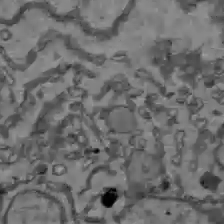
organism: C57BL Mouse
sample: Liver